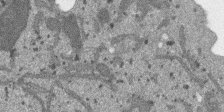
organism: Human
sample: Lung epithelial cells infected with SARS-CoV-2